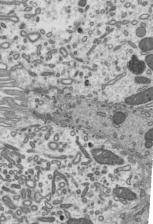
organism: Mouse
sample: Mouse epididymis efferent ductule cilia